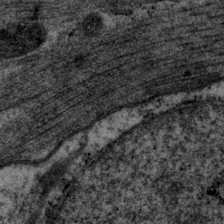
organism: P. pacificus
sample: Pharynx